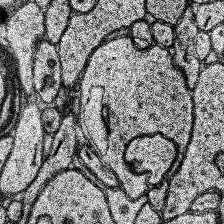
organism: Human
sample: Temporal Lobe